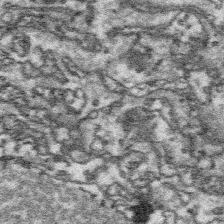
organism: Platynereis dumerilii